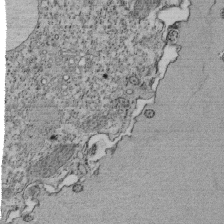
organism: Tetrahymena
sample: Cilia in tetrahymena